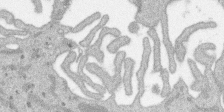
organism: Human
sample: Lung epithelial cells infected with SARS-CoV-2